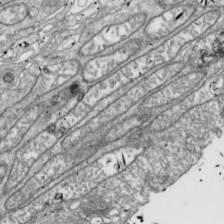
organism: Drosophila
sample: Cell division; meiosis; drosophila spermatocytes